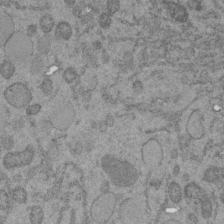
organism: C. elegans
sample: C. elegans embryo early stage